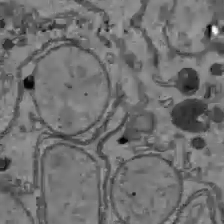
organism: C57BL Mouse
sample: Liver